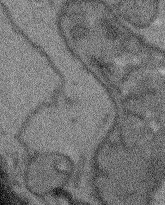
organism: Arabidopsis thaliana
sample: Root tip